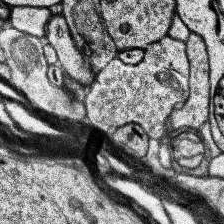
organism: Human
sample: Temporal Lobe